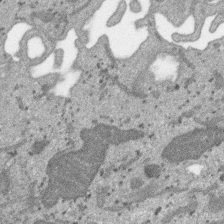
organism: Human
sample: Lung epithelial cells infected with SARS-CoV-2